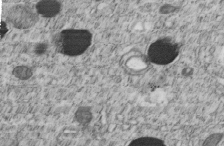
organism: C. elegans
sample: C. elegans embryo early stage